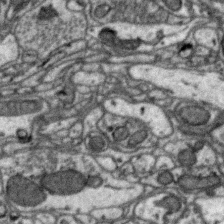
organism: Zebra finch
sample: Brain